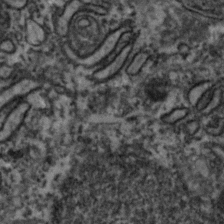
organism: Zebrafish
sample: Zebrafish embryo